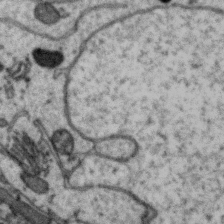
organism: Zebra finch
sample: Brain